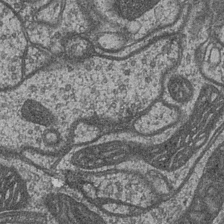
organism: Drosophila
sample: Optic medulla